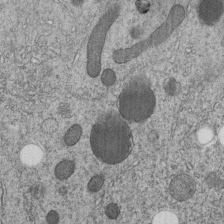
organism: C. elegans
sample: C. elegans embryo early stage